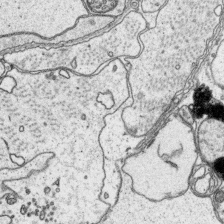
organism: Platynereis dumerilii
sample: Parapodia